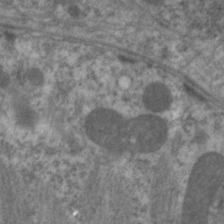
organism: C. elegans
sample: Pharynx